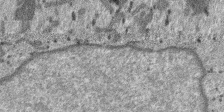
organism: Human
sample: Lung epithelial cells infected with SARS-CoV-2